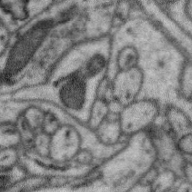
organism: Zebra finch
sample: Brain